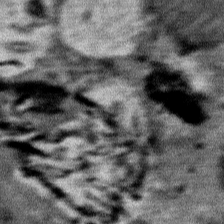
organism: Mouse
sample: Mouse Salivary gland